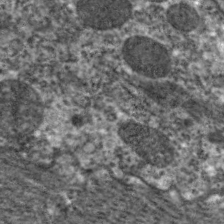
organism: C. elegans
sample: Pharynx